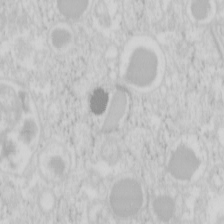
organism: Mouse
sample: Pancreas